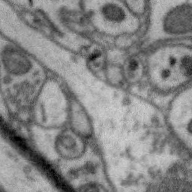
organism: Zebra finch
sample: Brain